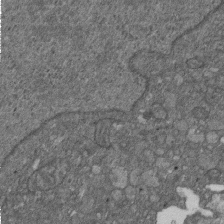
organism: Drosophila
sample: Nephrocyte